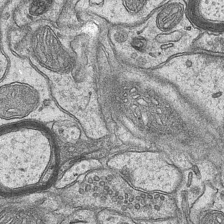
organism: Mouse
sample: CA1 Hippocampus